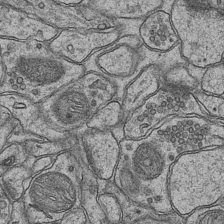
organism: Mouse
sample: CA1 Hippocampus